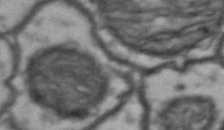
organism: Drosophila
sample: Brain